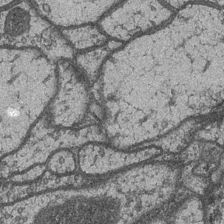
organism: Drosophila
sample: Optic medulla